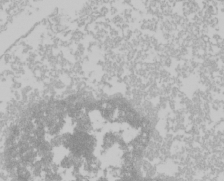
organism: Mouse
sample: Cancer cell death in ED-1 cells